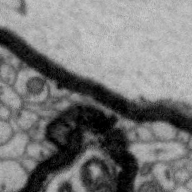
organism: Zebra finch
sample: Brain